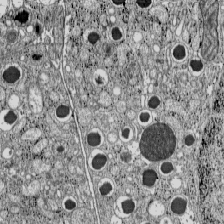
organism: C57BL Mouse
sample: Pancreatic islet